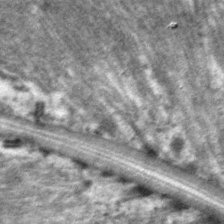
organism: C. elegans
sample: Pharynx